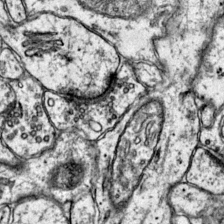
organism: Mouse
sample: Primary visual cortex